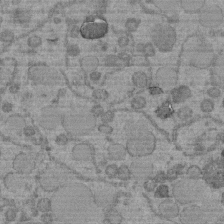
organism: C. elegans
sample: C. elegans embryo early stage